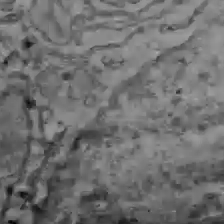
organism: C57BL Mouse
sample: Liver